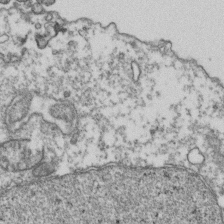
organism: Human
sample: Activated Jurkat CD4+ T cells